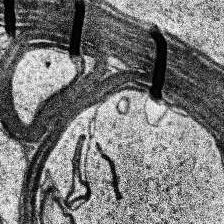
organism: Human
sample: Temporal Lobe